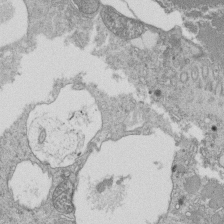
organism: Tetrahymena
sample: Cilia in tetrahymena